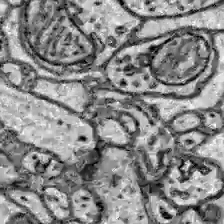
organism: Zebrafish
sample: Brain